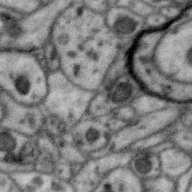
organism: Zebra finch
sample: Brain